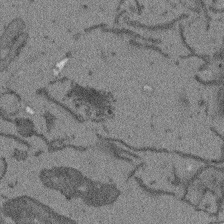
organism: Arabidopsis thaliana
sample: Root tip